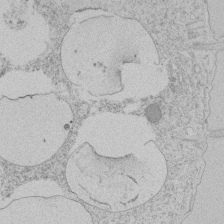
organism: Tetrahymena